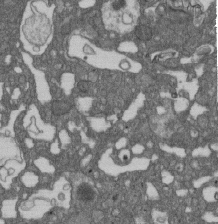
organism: Drosophila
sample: Nephrocyte